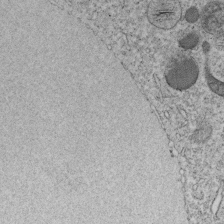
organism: C. elegans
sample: C. elegans embryo early stage